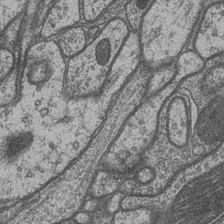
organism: Drosophila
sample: Optic medulla